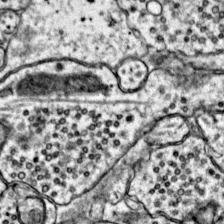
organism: Mouse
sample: Primary visual cortex